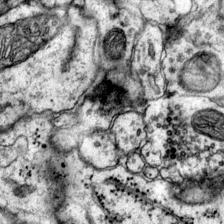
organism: Mouse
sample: Primary visual cortex